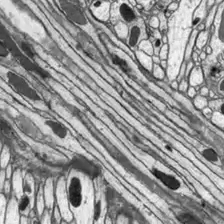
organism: Drosophila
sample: Optic lobe